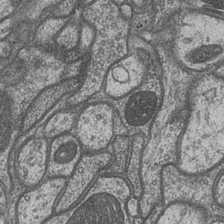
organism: Drosophila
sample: Optic medulla